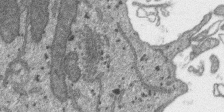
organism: Human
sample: Lung epithelial cells infected with SARS-CoV-2